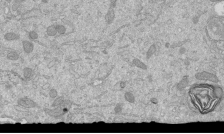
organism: Mouse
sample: ED-1 cell nuclei; centrioles